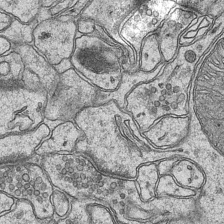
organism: Mouse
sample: CA1 Hippocampus